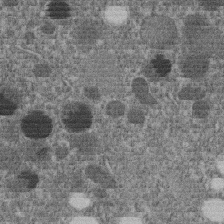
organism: C. elegans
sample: C. elegans embryo early stage